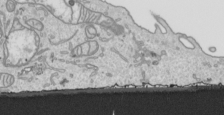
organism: Human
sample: Mitochondria in HCT116 cells